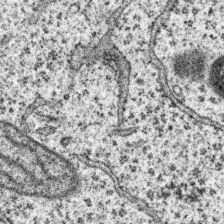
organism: Human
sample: HeLa cells